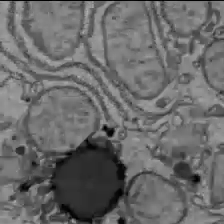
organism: C57BL Mouse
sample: Liver